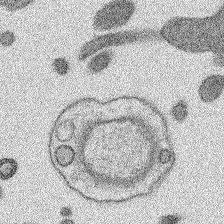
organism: Human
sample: HeLa cells